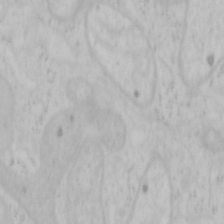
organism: Mouse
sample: OT-I killer T cells with ID8 ovarian cancer cells